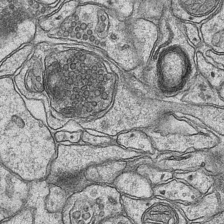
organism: Mouse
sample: CA1 Hippocampus